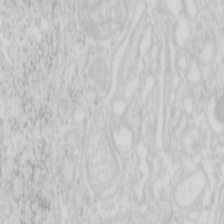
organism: Mouse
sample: Pancreas